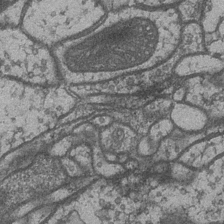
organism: Drosophila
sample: Optic medulla